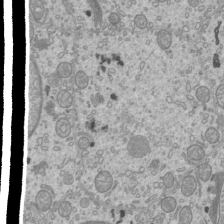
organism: Mouse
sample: Cilia; mouse epididymis